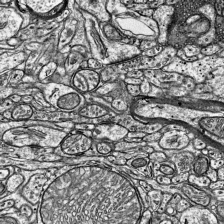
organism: Mouse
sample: Visual Cortex